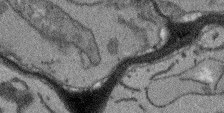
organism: Arabidopsis thaliana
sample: Root tip